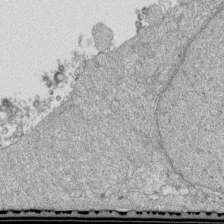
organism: Human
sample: HeLa cell HIV synapse